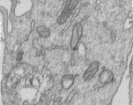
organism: Human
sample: Centriole in RPE cells